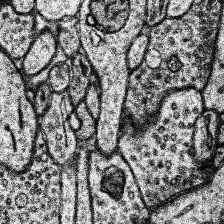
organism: Human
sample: Temporal Lobe